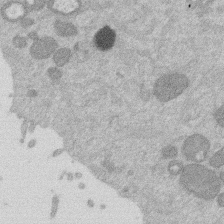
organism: Mouse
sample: Dividing mouse embryo 1 cell stage